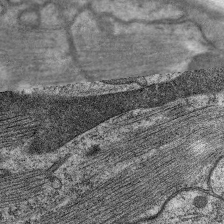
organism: C. elegans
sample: Pharynx